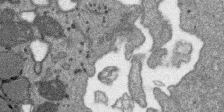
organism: Human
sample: Lung epithelial cells infected with SARS-CoV-2